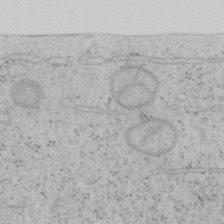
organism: Human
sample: HeLa cells